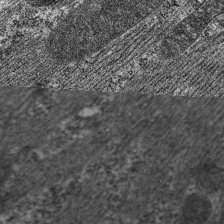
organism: C. elegans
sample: Pharynx